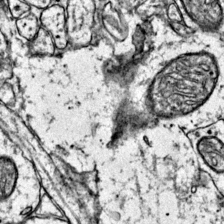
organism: Mouse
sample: Primary visual cortex